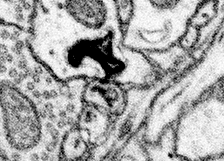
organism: Mouse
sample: Somatosensory cortex neuropil